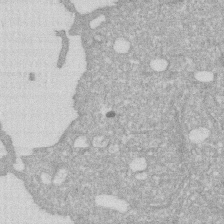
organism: Human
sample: HIV infected U937 cells